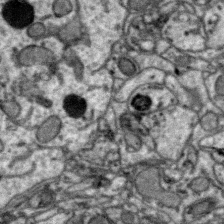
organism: Zebra finch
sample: Brain